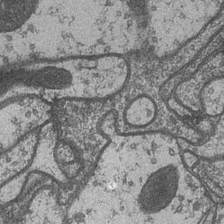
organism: Drosophila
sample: Optic medulla